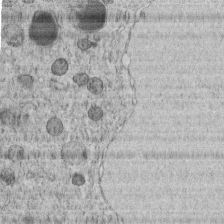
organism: C. elegans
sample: C. elegans embryo early stage